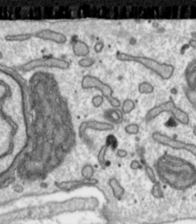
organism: Toxoplasma gondii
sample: Parasites in a vacuole inside a host cell